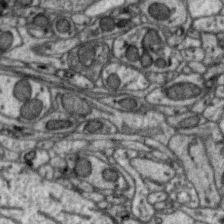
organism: Zebra finch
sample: Brain